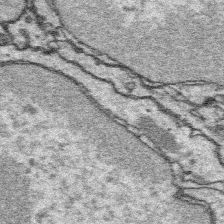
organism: Platynereis dumerilii